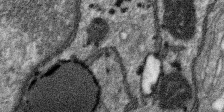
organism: Human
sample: Lung epithelial cells infected with SARS-CoV-2